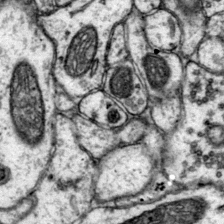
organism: Mouse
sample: Primary visual cortex